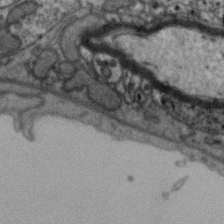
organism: Zebra finch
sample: Brain